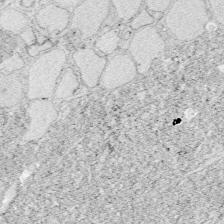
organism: Zebrafish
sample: Whole-Brain